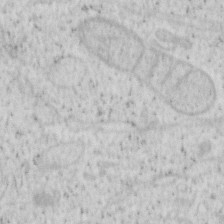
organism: Human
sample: HeLa cells